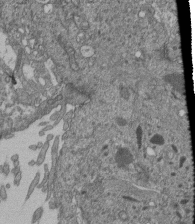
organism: Human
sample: Retinal organoid Rod and Cone cells